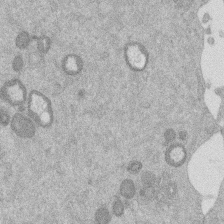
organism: Mouse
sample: Dividing mouse embryo 1 cell stage